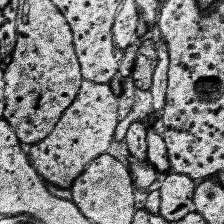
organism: Human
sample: Temporal Lobe